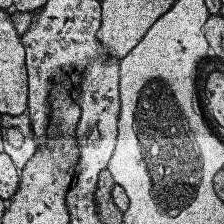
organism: Human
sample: Temporal Lobe